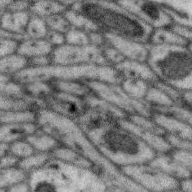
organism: Zebra finch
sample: Brain